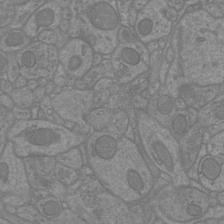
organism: Mouse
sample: Cortical neurons